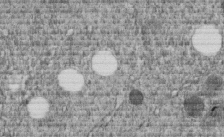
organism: C. elegans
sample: C. elegans embryo early stage